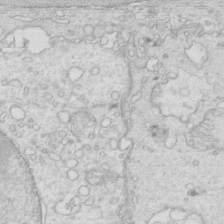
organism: Mouse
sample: Multiciliated cells